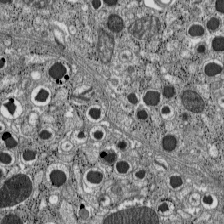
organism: C57BL Mouse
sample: Pancreatic islet